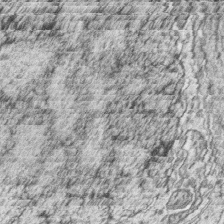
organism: Zebrafish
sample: synaptic ribbons in rod cells and cone cells